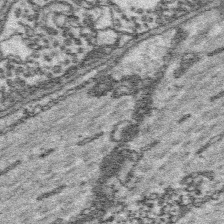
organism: Platynereis dumerilii